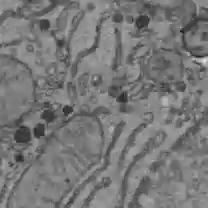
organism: C57BL Mouse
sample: Liver